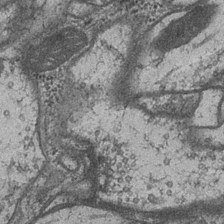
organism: Drosophila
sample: Optic medulla